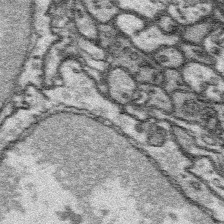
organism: Platynereis dumerilii